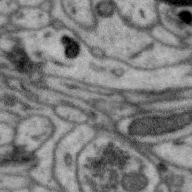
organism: Zebra finch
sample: Brain